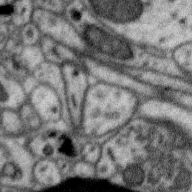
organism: Zebra finch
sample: Brain